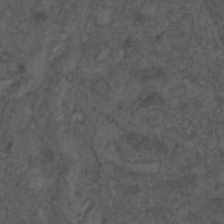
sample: Trachea